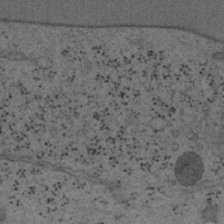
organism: Human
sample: HeLa cells